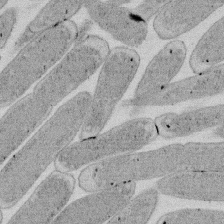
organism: E. coli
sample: Bacterial nucleoid